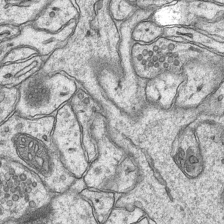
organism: Mouse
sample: CA1 Hippocampus